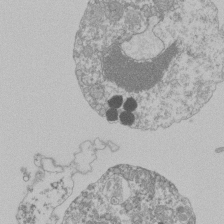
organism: Mouse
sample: Activated Pmel transgenic CD8+ T Cells